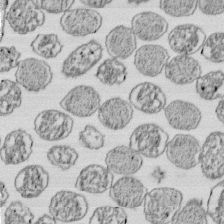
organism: E. coli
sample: Bacterial nucleoid